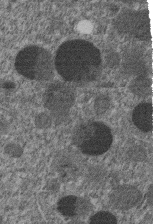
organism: C. elegans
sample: C. elegans embryo early stage